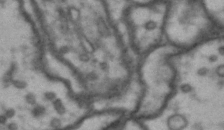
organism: Drosophila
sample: Brain